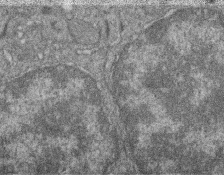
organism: Zebrafish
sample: Cilia; retinal pigment epithelium